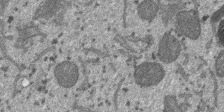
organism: Human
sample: Lung epithelial cells infected with SARS-CoV-2